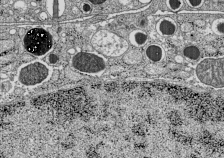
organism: C57BL Mouse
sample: Pancreatic islet